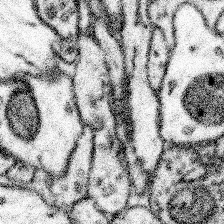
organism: Mouse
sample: Somatosensory cortex neuropil